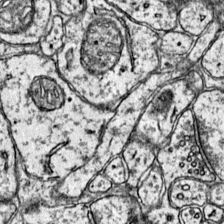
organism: Mouse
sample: Primary visual cortex